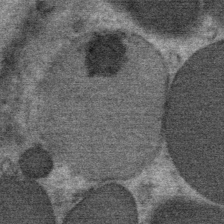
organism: Mouse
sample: Mouse Salivary gland